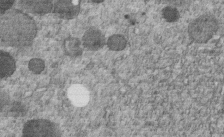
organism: C. elegans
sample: C. elegans embryo early stage